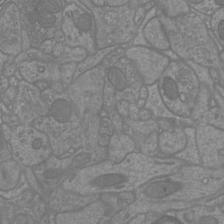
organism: Mouse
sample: Cortical neurons